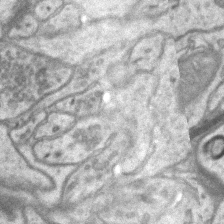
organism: Mouse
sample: CA1 Hippocampus